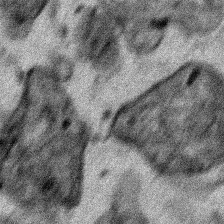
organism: Human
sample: Mitochondria in HCT116 cells